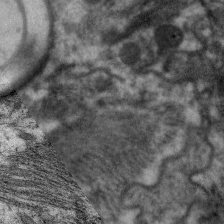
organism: C. elegans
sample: Pharynx